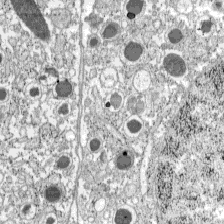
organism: C57BL Mouse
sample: Pancreatic islet